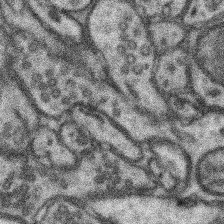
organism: Mouse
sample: Somatosensory cortex neuropil